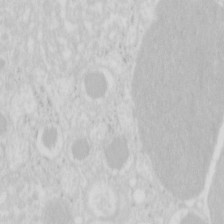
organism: Mouse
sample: Pancreas